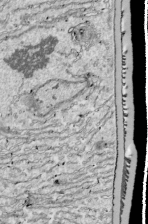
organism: Drosophila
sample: Cell division; meiosis; drosophila spermatocytes